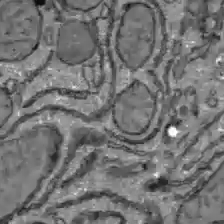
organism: C57BL Mouse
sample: Liver